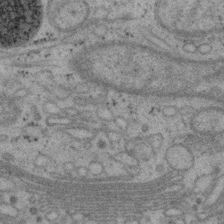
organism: Human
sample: HeLa cells